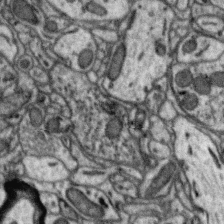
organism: Zebra finch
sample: Brain